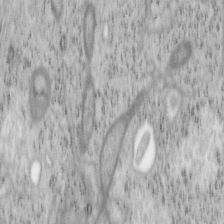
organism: Human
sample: HeLa cells